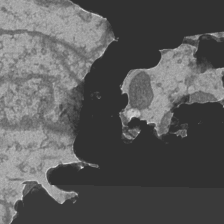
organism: Drosophila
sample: Optic medulla